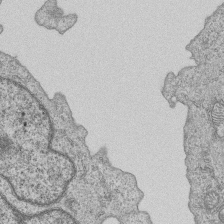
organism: Human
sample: MDA-MB-231 cells